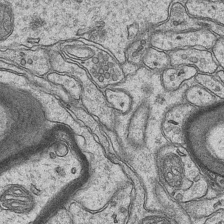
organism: Mouse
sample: CA1 Hippocampus